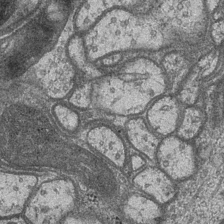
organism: Drosophila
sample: Optic medulla